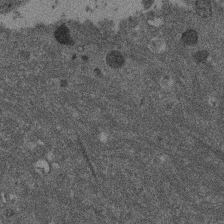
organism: Mouse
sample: Dividing mouse embryo 1 cell stage